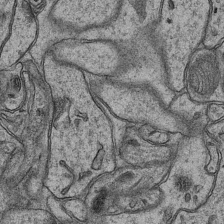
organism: Mouse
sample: CA1 Hippocampus